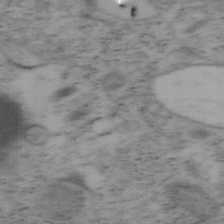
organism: Mouse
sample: OT-I killer T cells with ID8 ovarian cancer cells